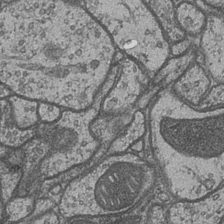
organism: Drosophila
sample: Optic medulla